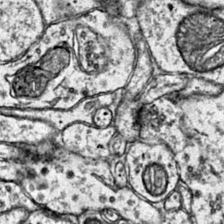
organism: Mouse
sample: Primary visual cortex